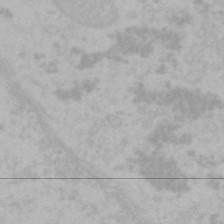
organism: Mouse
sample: Choroid plexus